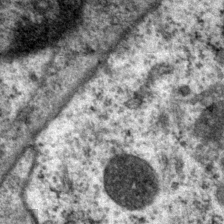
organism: P. pacificus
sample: Pharynx